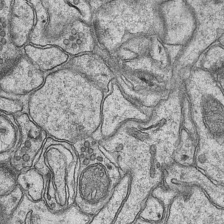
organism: Mouse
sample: CA1 Hippocampus